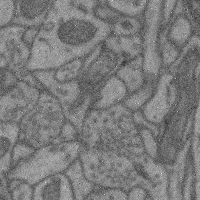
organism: Mouse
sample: Cerebral cortex